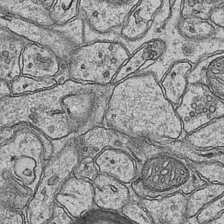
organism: Mouse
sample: CA1 Hippocampus